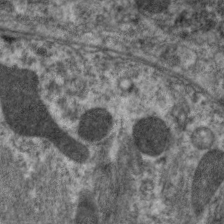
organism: C. elegans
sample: Pharynx